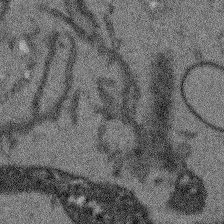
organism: Arabidopsis thaliana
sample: Root tip